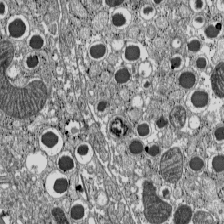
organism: C57BL Mouse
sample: Pancreatic islet